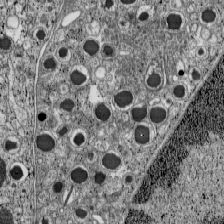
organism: C57BL Mouse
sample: Pancreatic islet